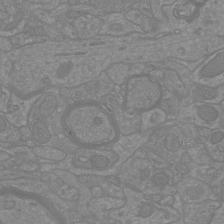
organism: Mouse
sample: Cortical neurons